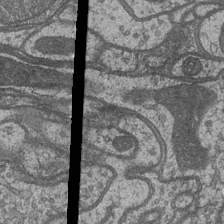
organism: Drosophila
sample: Optic medulla